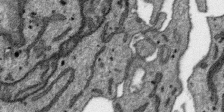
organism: Human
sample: Lung epithelial cells, uninfected (mock) control